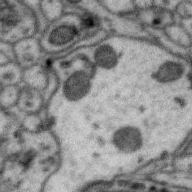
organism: Zebra finch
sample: Brain